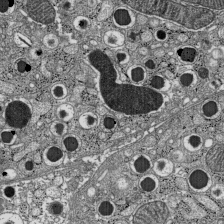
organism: C57BL Mouse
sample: Pancreatic islet